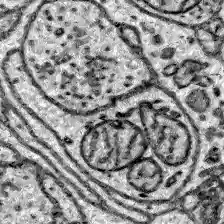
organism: Zebrafish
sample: Brain